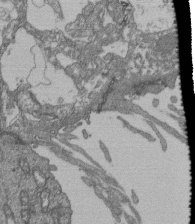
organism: Human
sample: Retinal organoid Rod and Cone cells